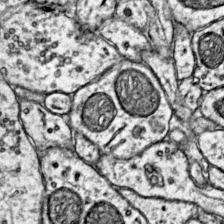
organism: Mouse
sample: Primary visual cortex